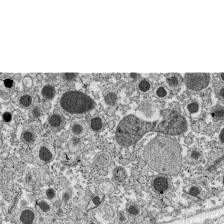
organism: C57BL Mouse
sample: Pancreatic islet